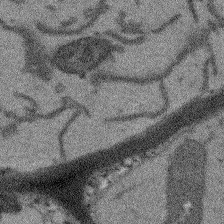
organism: Arabidopsis thaliana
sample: Root tip